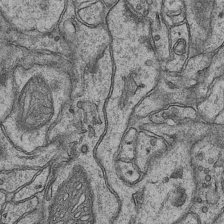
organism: Mouse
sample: CA1 Hippocampus